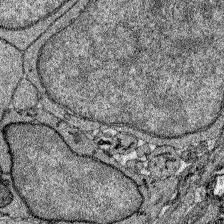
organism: Zebrafish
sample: Larval olfactory bulb